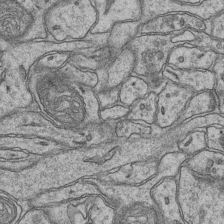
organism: Mouse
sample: CA1 Hippocampus